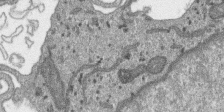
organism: Human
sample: Lung epithelial cells infected with SARS-CoV-2